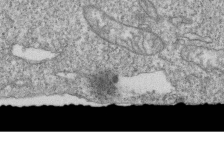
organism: Human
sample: HeLa cell HIV synapse